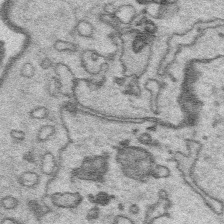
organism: Platynereis dumerilii